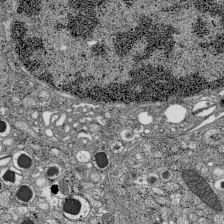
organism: C57BL Mouse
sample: Pancreatic islet